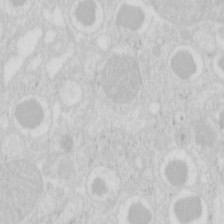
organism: Mouse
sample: Pancreas